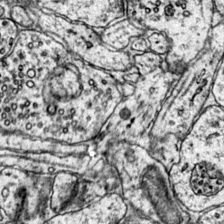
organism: Mouse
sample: Primary visual cortex